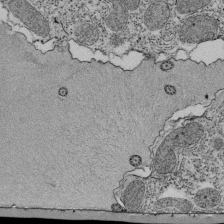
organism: Tetrahymena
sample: Cilia in tetrahymena